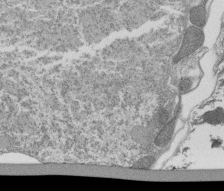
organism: Tetrahymena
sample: Cilia in tetrahymena